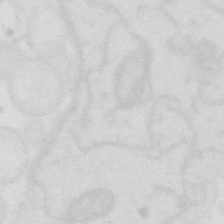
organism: Human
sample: HeLa cells